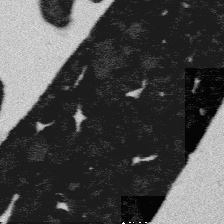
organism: Platynereis dumerilii